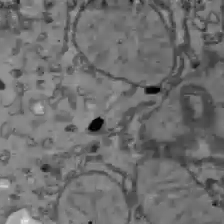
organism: C57BL Mouse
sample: Liver